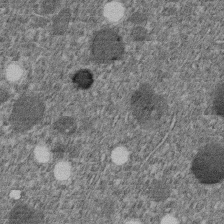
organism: C. elegans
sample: C. elegans embryo early stage